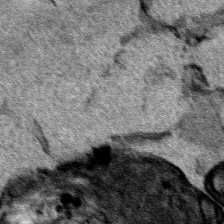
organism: Human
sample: Mitochondria in HCT116 cells